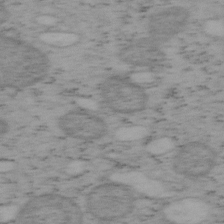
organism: Mouse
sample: OT-I killer T cells with ID8 ovarian cancer cells